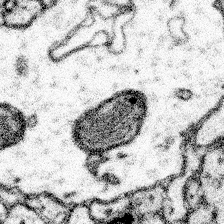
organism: Mouse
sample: Somatosensory cortex neuropil